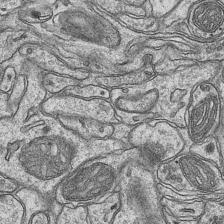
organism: Mouse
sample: CA1 Hippocampus